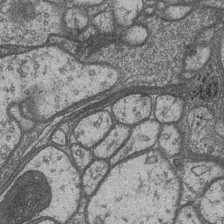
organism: Drosophila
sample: Optic medulla